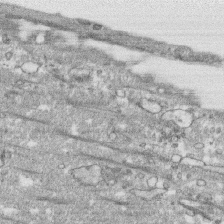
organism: Human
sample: CRL-1474